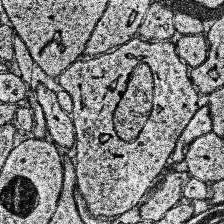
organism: Human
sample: Temporal Lobe